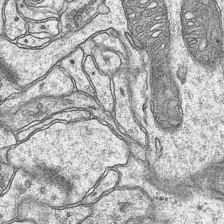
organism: Mouse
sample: CA1 Hippocampus